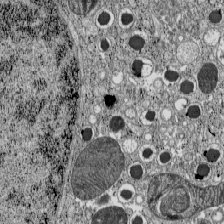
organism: C57BL Mouse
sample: Pancreatic islet